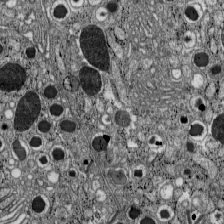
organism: C57BL Mouse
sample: Pancreatic islet